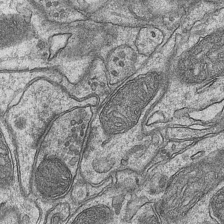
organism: Mouse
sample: CA1 Hippocampus